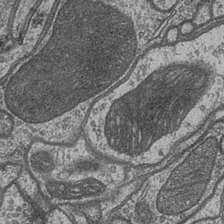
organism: Drosophila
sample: Optic medulla